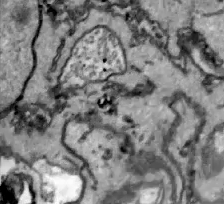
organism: Zebrafish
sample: Actinotrichia fibers